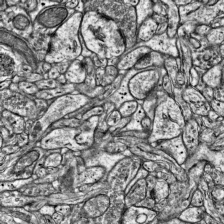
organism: Mouse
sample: Visual Cortex